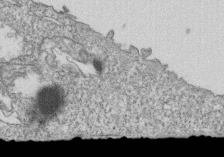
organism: Human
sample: HeLa cell HIV synapse